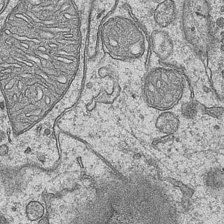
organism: Mouse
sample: CA1 Hippocampus